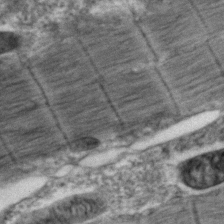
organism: Zebrafish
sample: Zebrafish embryo